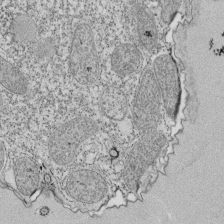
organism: Tetrahymena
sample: Cilia in tetrahymena